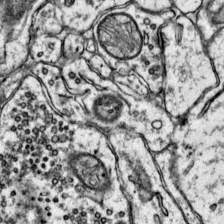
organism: Mouse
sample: Primary visual cortex